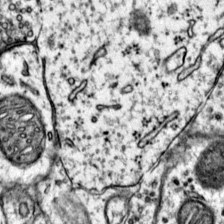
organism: Mouse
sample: Primary visual cortex